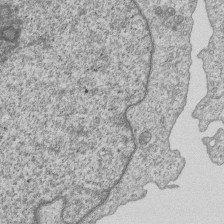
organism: Human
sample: MDA-MB-231 cells